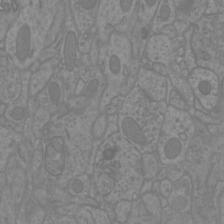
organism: Mouse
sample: Cortical neurons